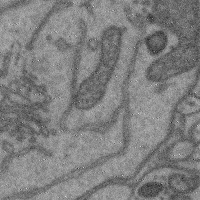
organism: Mouse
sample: Cerebral cortex